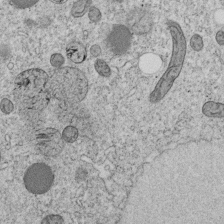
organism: C. elegans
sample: C. elegans embryo early stage